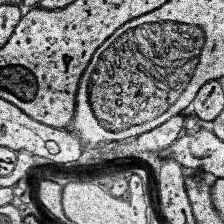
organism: Human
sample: Temporal Lobe